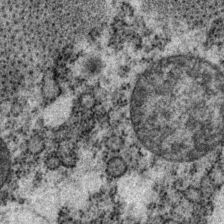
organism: P. pacificus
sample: Pharynx